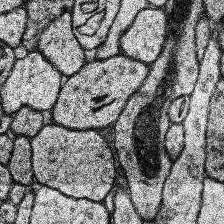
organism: Human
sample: Temporal Lobe